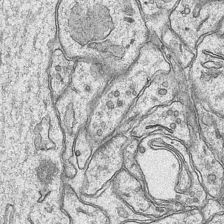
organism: Mouse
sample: CA1 Hippocampus